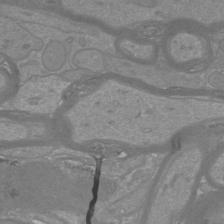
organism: Mouse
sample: Cortical neurons